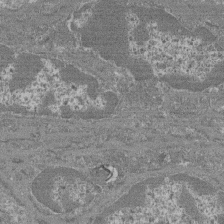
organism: Mouse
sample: Glomerulus